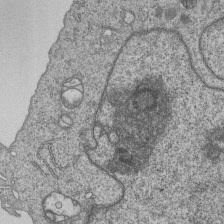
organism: Human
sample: MDA-MB-231 cells